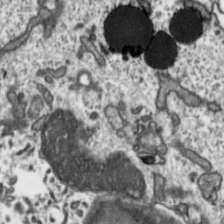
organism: Toxoplasma gondii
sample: Parasites in a vacuole inside a host cell